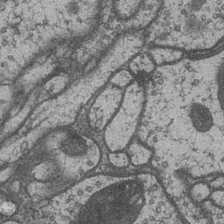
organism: Drosophila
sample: Optic medulla